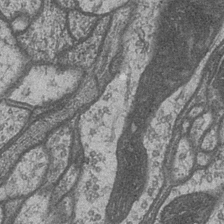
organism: Drosophila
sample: Optic medulla